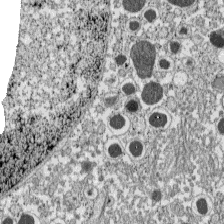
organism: C57BL Mouse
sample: Pancreatic islet